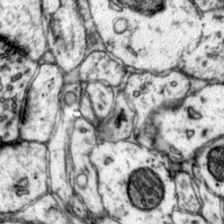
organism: Mouse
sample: Primary visual cortex